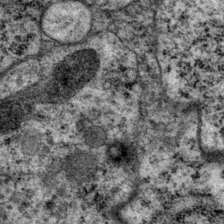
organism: P. pacificus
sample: Pharynx